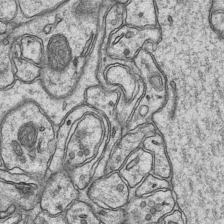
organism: Mouse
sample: CA1 Hippocampus